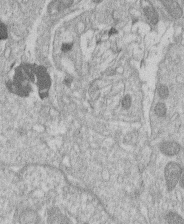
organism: Human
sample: Macrophage cells